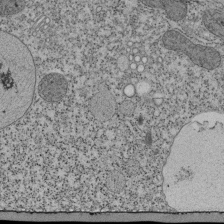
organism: Tetrahymena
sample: Cilia in tetrahymena